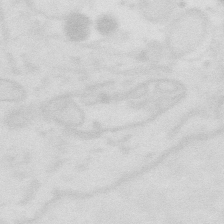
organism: Human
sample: HeLa cells